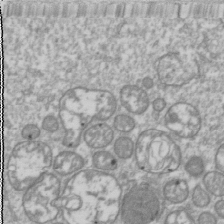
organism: Drosophila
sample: Cell division; meiosis; drosophila spermatocytes